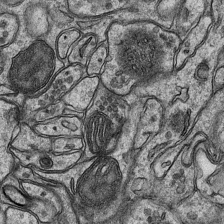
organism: Mouse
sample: CA1 Hippocampus